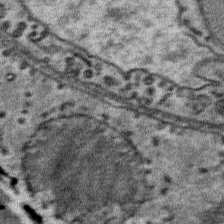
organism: Mouse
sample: Mouse Salivary gland